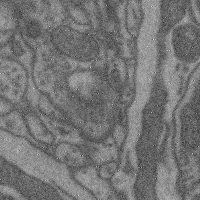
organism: Mouse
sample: Cerebral cortex